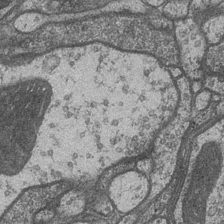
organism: Drosophila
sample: Optic medulla